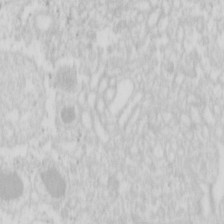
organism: Mouse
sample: Pancreas